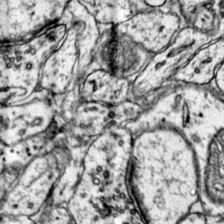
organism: Mouse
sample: Primary visual cortex